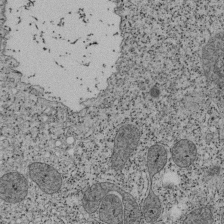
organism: Tetrahymena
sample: Cilia in tetrahymena